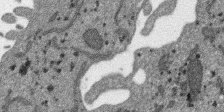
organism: Human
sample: Lung epithelial cells infected with SARS-CoV-2